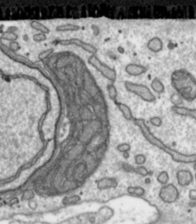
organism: Toxoplasma gondii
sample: Parasites in a vacuole inside a host cell